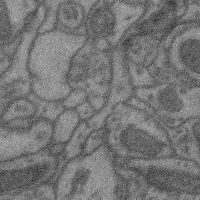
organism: Mouse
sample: Cerebral cortex